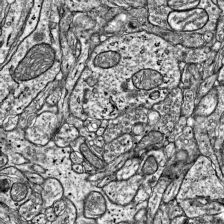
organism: Mouse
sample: Visual Cortex